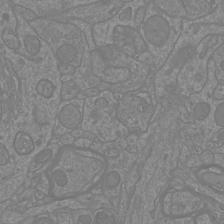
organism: Mouse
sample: Cortical neurons